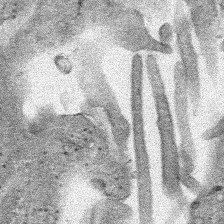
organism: Human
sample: Mitochondria in HCT116 cells